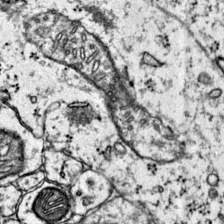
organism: Mouse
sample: Primary visual cortex